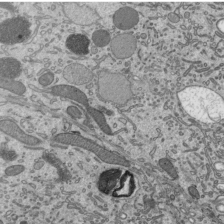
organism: Mouse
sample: Mouse epididymis efferent ductule cilia